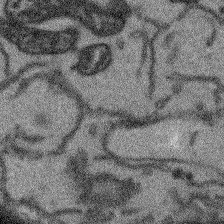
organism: Arabidopsis thaliana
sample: Root tip